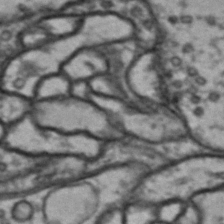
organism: Drosophila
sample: Brain